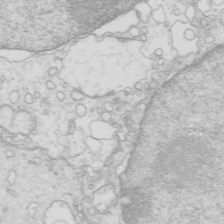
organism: Mouse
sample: Multiciliated cells